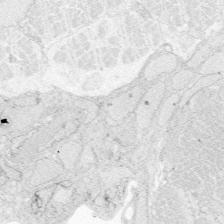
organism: Zebrafish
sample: Whole-Brain